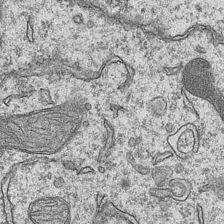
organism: Mouse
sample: CA1 Hippocampus